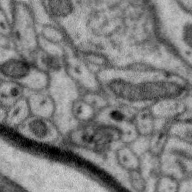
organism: Zebra finch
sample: Brain